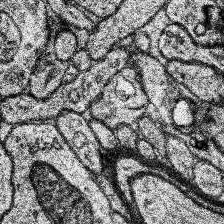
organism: Human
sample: Temporal Lobe